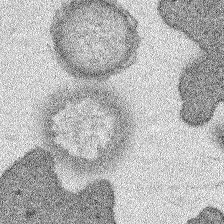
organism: Human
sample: HeLa cells